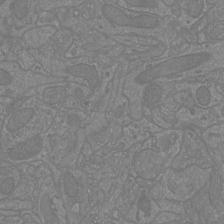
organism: Mouse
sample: Cortical neurons